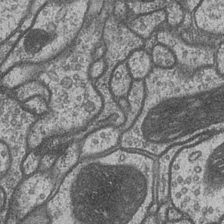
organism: Drosophila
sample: Optic medulla